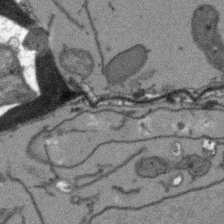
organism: Arabidopsis thaliana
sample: Root tip